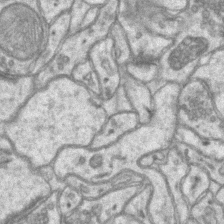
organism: Mouse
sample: CA1 Hippocampus